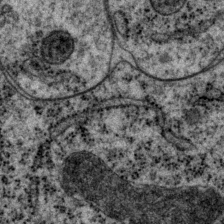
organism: P. pacificus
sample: Pharynx